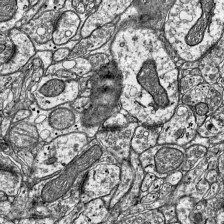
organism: Mouse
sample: Visual Cortex